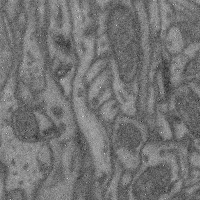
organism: Mouse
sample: Cerebral cortex